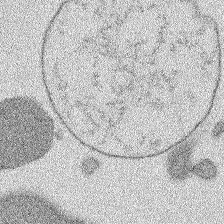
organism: Human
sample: HeLa cells